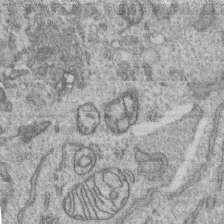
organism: Human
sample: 1205lu cells